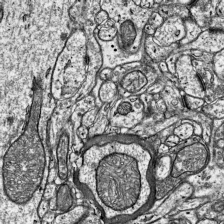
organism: Mouse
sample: Visual Cortex